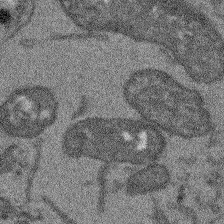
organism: Arabidopsis thaliana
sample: Root tip